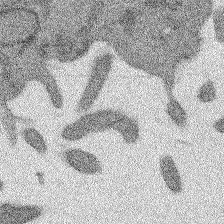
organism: Human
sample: HeLa cells